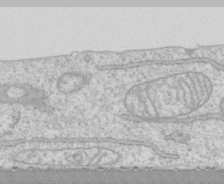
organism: Human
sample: CRL-1474